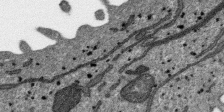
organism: Human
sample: Lung epithelial cells, uninfected (mock) control